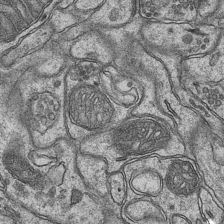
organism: Mouse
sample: CA1 Hippocampus